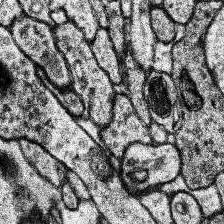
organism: Human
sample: Temporal Lobe